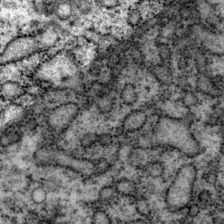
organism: P. pacificus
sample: Pharynx